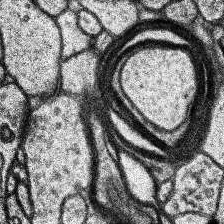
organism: Human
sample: Temporal Lobe